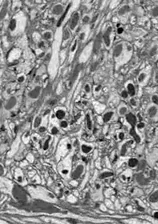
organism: Drosophila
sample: Optic lobe